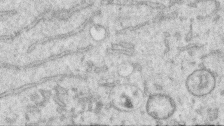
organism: Human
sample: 1205lu cells